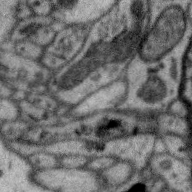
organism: Zebra finch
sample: Brain